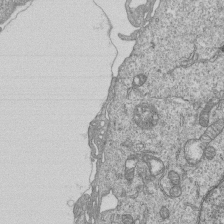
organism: Human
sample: MDA-MB-231 cells